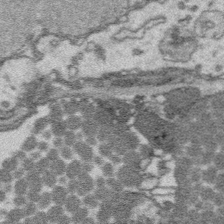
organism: Platynereis dumerilii